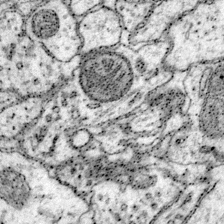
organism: Mouse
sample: Primary visual cortex